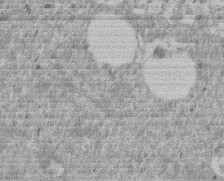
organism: Mouse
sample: Dividing mouse embryo 1 cell stage